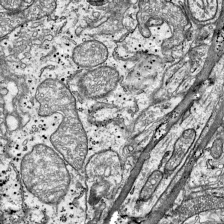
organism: Mouse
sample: Visual Cortex